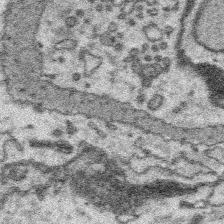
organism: Platynereis dumerilii